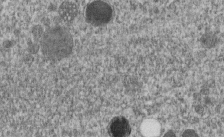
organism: C. elegans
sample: C. elegans embryo early stage